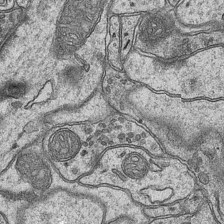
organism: Mouse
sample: CA1 Hippocampus